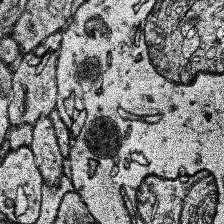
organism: Human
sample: Temporal Lobe